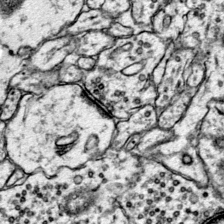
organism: Mouse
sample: Primary visual cortex